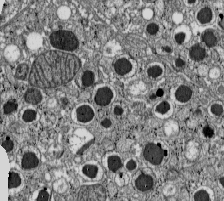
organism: C57BL Mouse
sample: Pancreatic islet